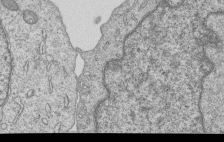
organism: Human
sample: MDA-MB-231 cells